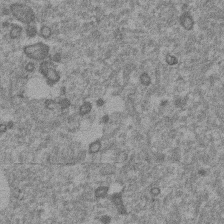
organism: Mouse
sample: Dividing mouse embryo 1 cell stage